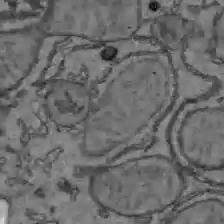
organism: C57BL Mouse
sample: Liver